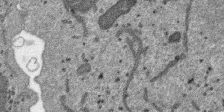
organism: Human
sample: Lung epithelial cells infected with SARS-CoV-2